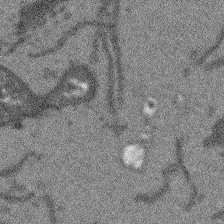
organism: Arabidopsis thaliana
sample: Root tip